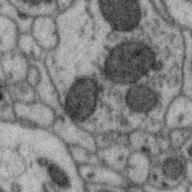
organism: Zebra finch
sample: Brain